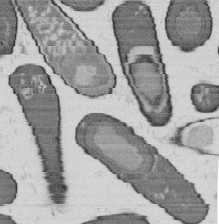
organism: B. subtilis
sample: Bacterial spore